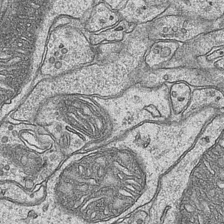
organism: Mouse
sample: CA1 Hippocampus